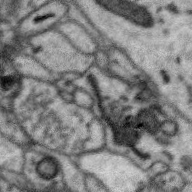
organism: Zebra finch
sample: Brain